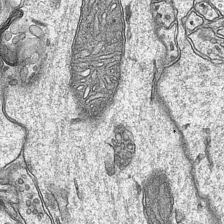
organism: Mouse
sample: CA1 Hippocampus